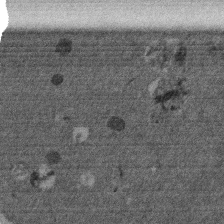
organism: Mouse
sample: Dividing mouse embryo 1 cell stage